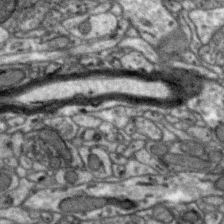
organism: Zebra finch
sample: Brain